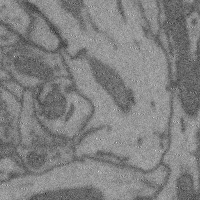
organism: Mouse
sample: Cerebral cortex